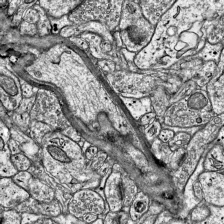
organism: Mouse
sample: Visual Cortex